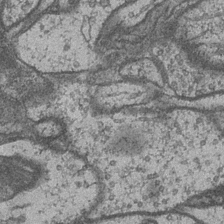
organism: Drosophila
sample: Optic medulla